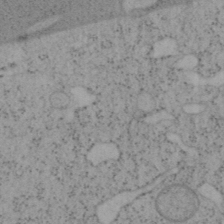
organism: Mouse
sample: OT-I killer T cells with ID8 ovarian cancer cells